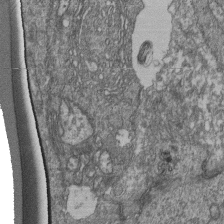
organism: Human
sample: Retinal organoid Rod and Cone cells